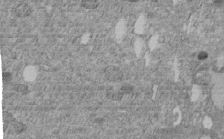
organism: C. elegans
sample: C. elegans embryo early stage